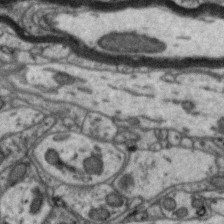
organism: Zebra finch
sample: Brain